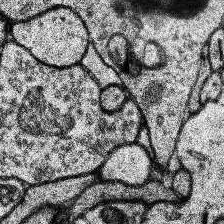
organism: Human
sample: Temporal Lobe